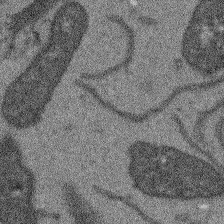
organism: Arabidopsis thaliana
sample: Root tip